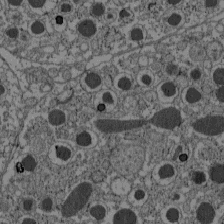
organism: C57BL Mouse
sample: Pancreatic islet